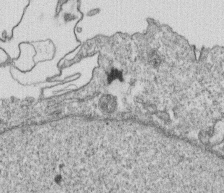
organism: Human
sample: HeLa cell HIV synapse